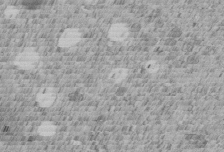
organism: C. elegans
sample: C. elegans embryo early stage